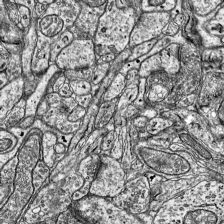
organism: Mouse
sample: Visual Cortex